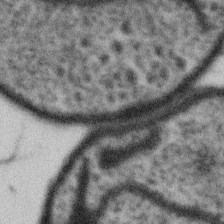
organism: Gemmata obscuriglobus